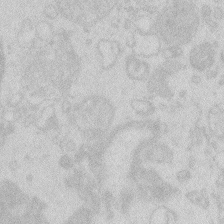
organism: Zebrafish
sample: Macrophage